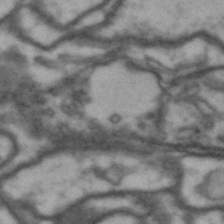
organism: Drosophila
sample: Brain